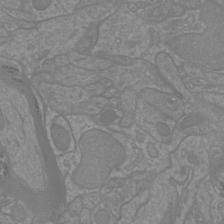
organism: Mouse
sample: Cortical neurons